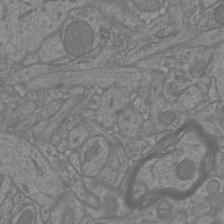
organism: Mouse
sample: Cortical neurons